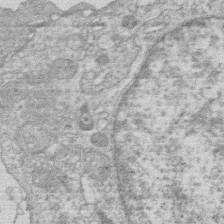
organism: Human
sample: Macrophage cells